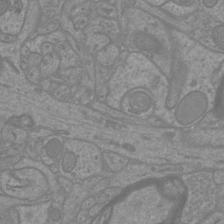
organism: Mouse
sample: Cortical neurons